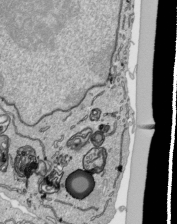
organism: Human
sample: Mitochondria in HCT116 cells